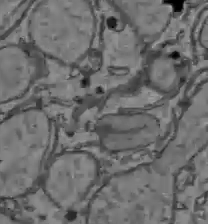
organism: C57BL Mouse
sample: Liver